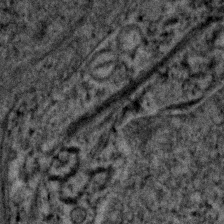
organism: Human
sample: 1205lu cells